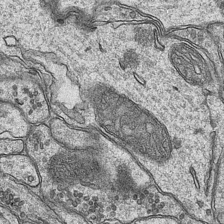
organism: Mouse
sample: CA1 Hippocampus